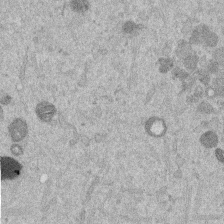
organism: Mouse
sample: Dividing mouse embryo 1 cell stage